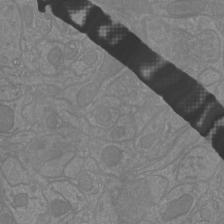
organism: Mouse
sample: Cortical neurons